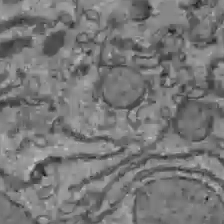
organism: C57BL Mouse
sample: Liver